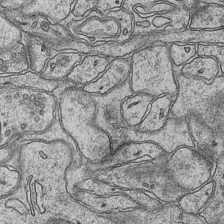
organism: Mouse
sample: CA1 Hippocampus